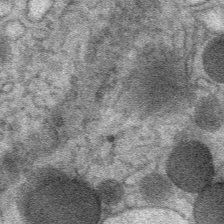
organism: Mouse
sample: Mouse Salivary gland